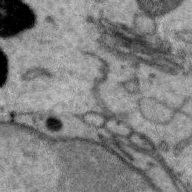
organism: Zebra finch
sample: Brain